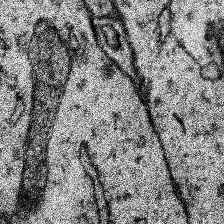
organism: Human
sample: Temporal Lobe